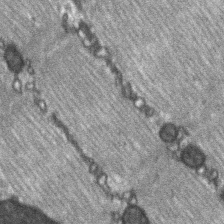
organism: C57BL Mouse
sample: Soleus